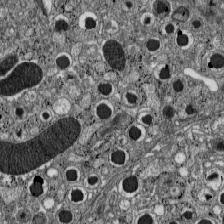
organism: C57BL Mouse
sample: Pancreatic islet